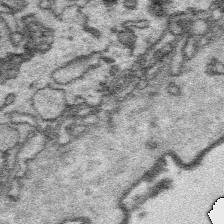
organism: Platynereis dumerilii